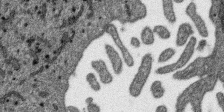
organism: Human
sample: Lung epithelial cells infected with SARS-CoV-2